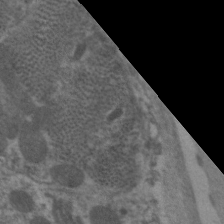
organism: C. elegans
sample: Pharynx